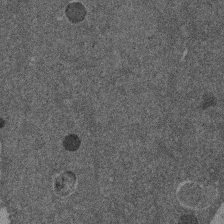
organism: Mouse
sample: Dividing mouse embryo 1 cell stage